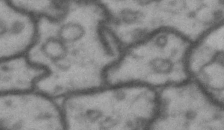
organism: Drosophila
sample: Brain